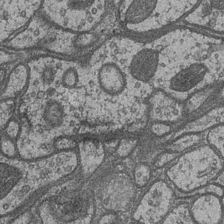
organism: Drosophila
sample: Optic medulla